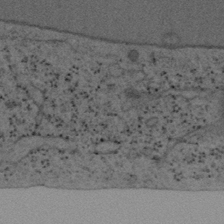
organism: Human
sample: HeLa cells